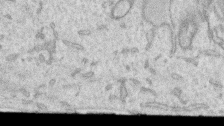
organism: Human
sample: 1205lu cells